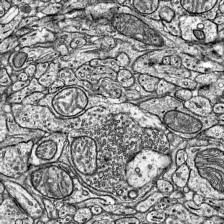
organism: Mouse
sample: Visual Cortex